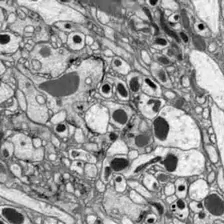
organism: Drosophila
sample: Optic lobe